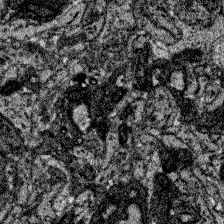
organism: Zebrafish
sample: Larval olfactory bulb